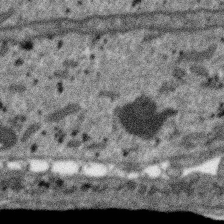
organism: Human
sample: Lung epithelial cells infected with SARS-CoV-2